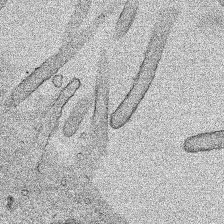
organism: Human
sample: Mitochondria in HCT116 cells